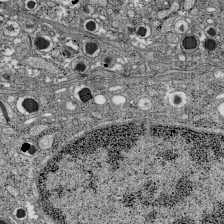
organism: C57BL Mouse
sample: Pancreatic islet